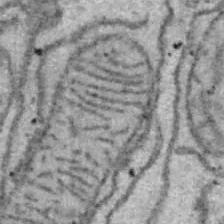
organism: Mouse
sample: Liver from an obese (ob/ob) mouse